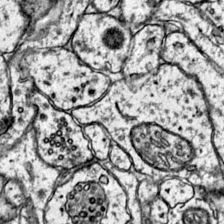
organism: Mouse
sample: Primary visual cortex